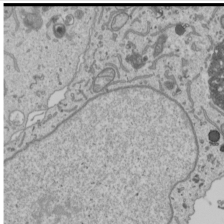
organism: Human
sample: Mitochondria in U2OS cells